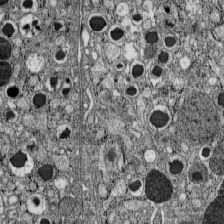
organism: C57BL Mouse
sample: Pancreatic islet